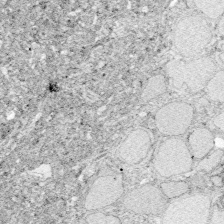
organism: Zebrafish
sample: Whole-Brain